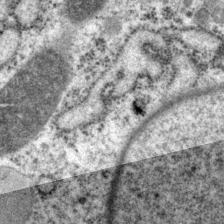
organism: P. pacificus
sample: Pharynx